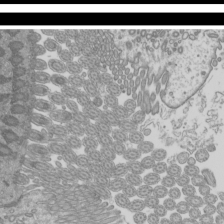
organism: Mouse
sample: Cilia; mouse epididymis